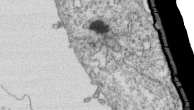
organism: Human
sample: HeLa cell HIV synapse